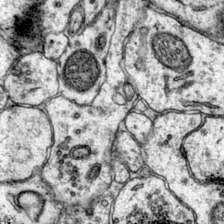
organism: Mouse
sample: Primary visual cortex